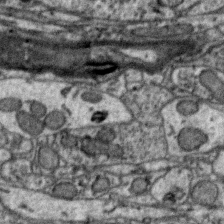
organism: Zebra finch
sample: Brain